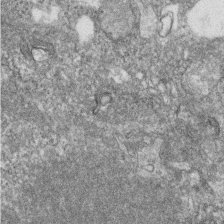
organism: Zebrafish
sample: Cilia; retinal pigment epithelium